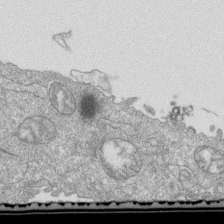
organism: Human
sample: HeLa cell HIV synapse